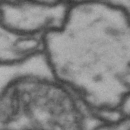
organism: Drosophila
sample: Brain